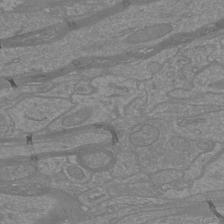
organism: Mouse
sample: Cortical neurons